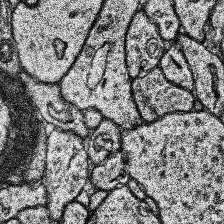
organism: Human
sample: Temporal Lobe